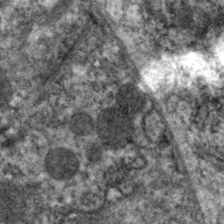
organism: C. elegans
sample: Pharynx